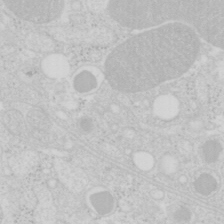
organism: Mouse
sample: Pancreas